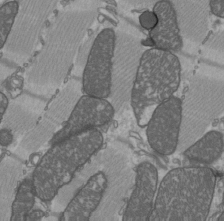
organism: C57BL Mouse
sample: Heart